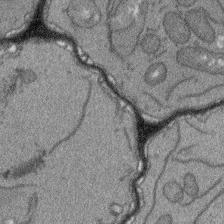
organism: Arabidopsis thaliana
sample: Root tip